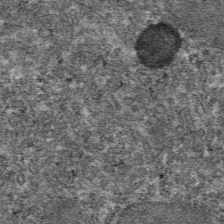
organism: Mouse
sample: Mouse hepatocytes